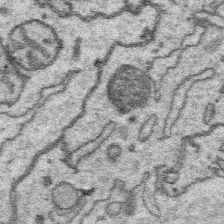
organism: Platynereis dumerilii